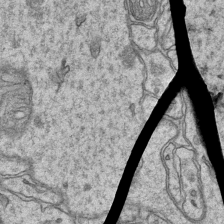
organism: Mouse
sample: CA1 Hippocampus